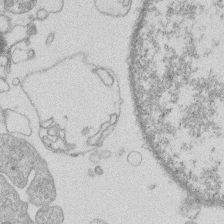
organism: Human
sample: Macrophage cells